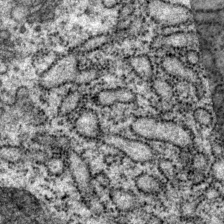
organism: P. pacificus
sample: Pharynx